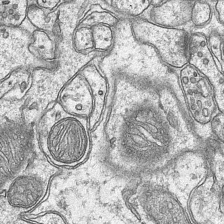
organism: Mouse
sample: CA1 Hippocampus